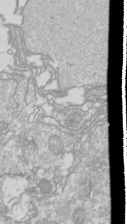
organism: Drosophila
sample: Cell division; meiosis; drosophila spermatocytes